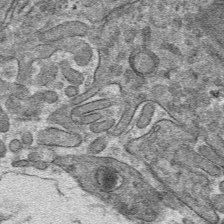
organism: Mouse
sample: Mouse hepatocytes